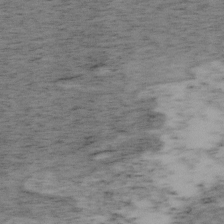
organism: Mouse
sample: OT-I killer T cells with ID8 ovarian cancer cells